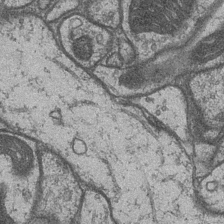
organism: Drosophila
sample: Optic medulla